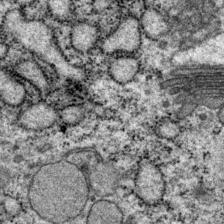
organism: P. pacificus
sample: Pharynx